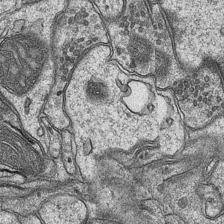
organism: Mouse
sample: CA1 Hippocampus